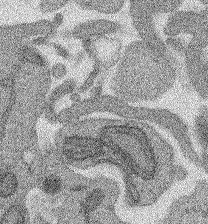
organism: Human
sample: HeLa cells